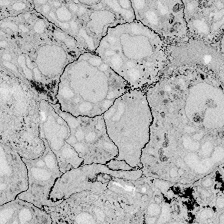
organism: Zebrafish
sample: Whole-Brain